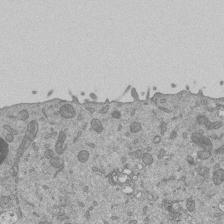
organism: Mouse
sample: ED-1 cell nuclei; centrioles